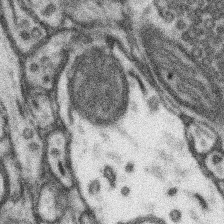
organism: Mouse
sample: Somatosensory cortex neuropil